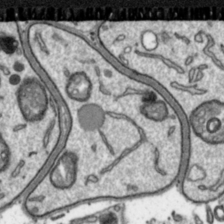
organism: Toxoplasma gondii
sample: Parasites in a vacuole inside a host cell